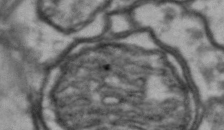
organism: Drosophila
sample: Brain